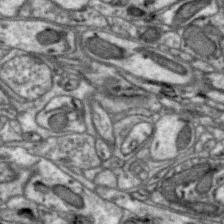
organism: Zebra finch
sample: Brain